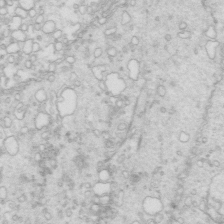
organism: Mouse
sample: Multiciliated cells